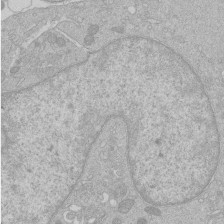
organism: Human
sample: Macrophage cells